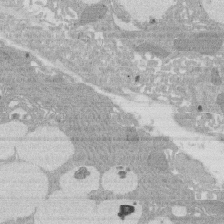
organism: Rat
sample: Salivary granule